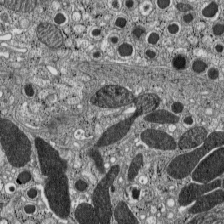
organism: C57BL Mouse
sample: Pancreatic islet